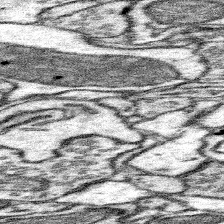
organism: Mouse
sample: Somatosensory cortex neuropil